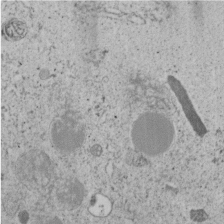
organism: C. elegans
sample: C. elegans embryo early stage